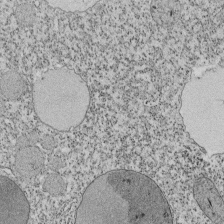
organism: Tetrahymena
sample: Cilia in tetrahymena